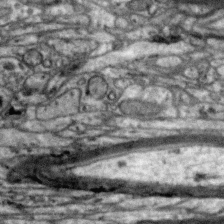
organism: Zebra finch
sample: Brain